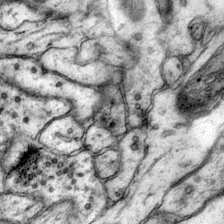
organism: Mouse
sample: Primary visual cortex